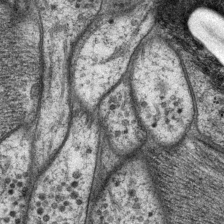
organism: P. pacificus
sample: Pharynx